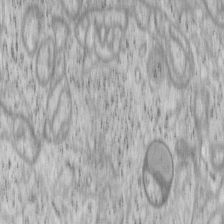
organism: Human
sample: HeLa cells